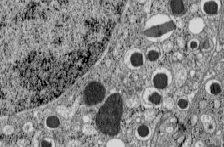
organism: C57BL Mouse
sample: Pancreatic islet